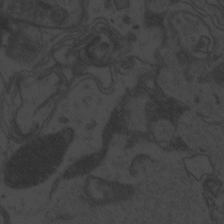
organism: Zebrafish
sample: Macrophage infected with Toxoplasma gondii